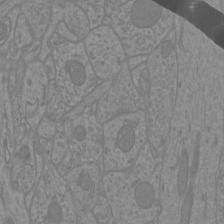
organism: Mouse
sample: Cortical neurons